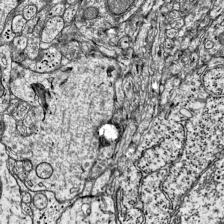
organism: Mouse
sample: Visual Cortex